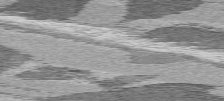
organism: C57BL Mouse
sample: Heart